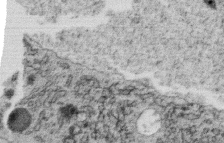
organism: C. elegans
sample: C. elegans oocyte; sperm cells